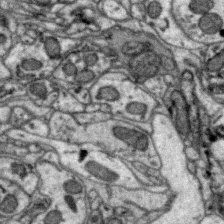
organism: Zebra finch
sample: Brain